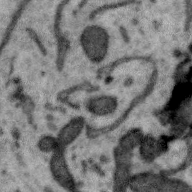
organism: Zebra finch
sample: Brain